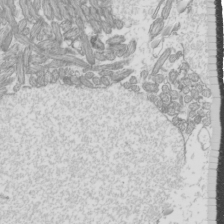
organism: Mouse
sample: Cilia; mouse epididymis